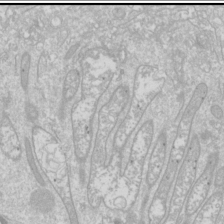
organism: Drosophila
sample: Cell division; meiosis; drosophila spermatocytes